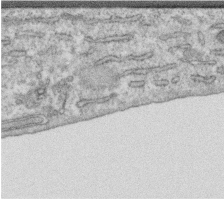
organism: Human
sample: Centriole in RPE cells